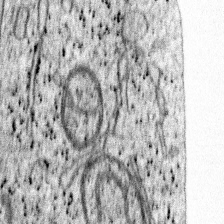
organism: Human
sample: HeLa cells